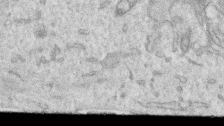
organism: Human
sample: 1205lu cells